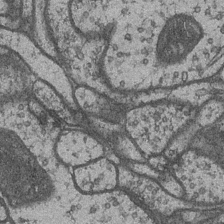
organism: Drosophila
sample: Optic medulla